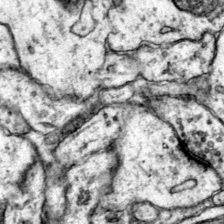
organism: Mouse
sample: Primary visual cortex